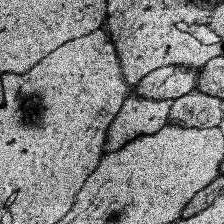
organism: Human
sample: Temporal Lobe